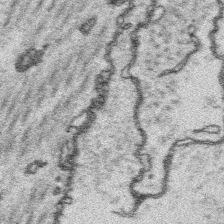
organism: Platynereis dumerilii